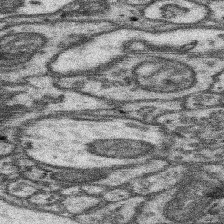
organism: Mouse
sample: Somatosensory cortex neuropil